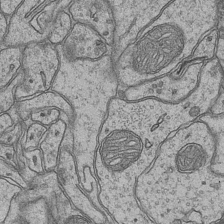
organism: Mouse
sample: CA1 Hippocampus